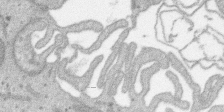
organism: Human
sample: Lung epithelial cells infected with SARS-CoV-2